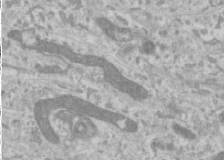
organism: Human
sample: Cilia; basal body in RPE cells